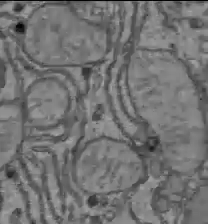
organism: C57BL Mouse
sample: Liver